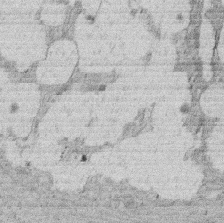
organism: Rat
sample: Salivary granule